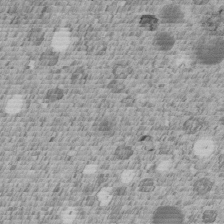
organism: C. elegans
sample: C. elegans embryo early stage